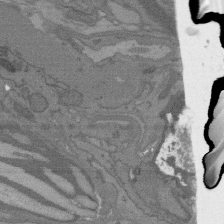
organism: C. elegans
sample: AFD neurons C. elegans